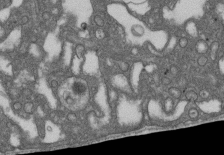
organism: Drosophila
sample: Nephrocyte